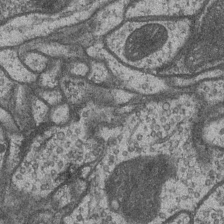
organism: Drosophila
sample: Optic medulla